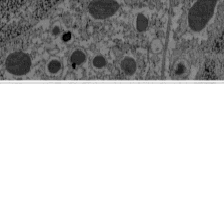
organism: C57BL Mouse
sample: Pancreatic islet